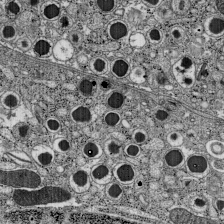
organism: C57BL Mouse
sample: Pancreatic islet